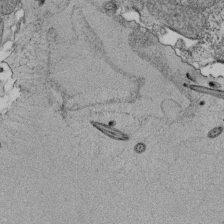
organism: Tetrahymena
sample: Cilia in tetrahymena